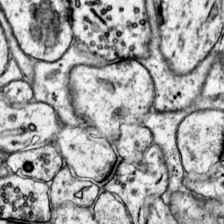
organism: Mouse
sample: Primary visual cortex